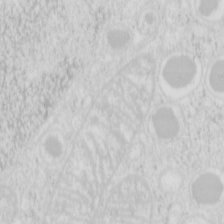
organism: Mouse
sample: Pancreas